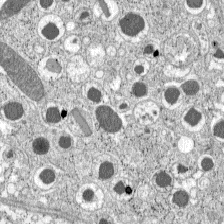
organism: C57BL Mouse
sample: Pancreatic islet